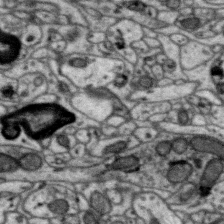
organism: Zebra finch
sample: Brain